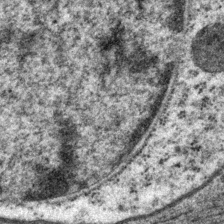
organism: P. pacificus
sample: Pharynx